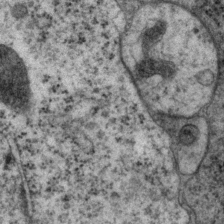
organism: P. pacificus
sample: Pharynx